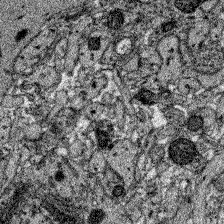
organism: Zebrafish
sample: Larval olfactory bulb